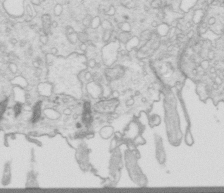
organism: Mouse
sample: Multiciliated cells